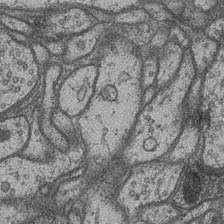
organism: Drosophila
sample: Optic medulla